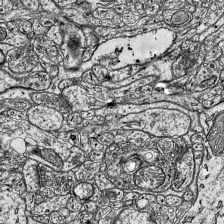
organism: Mouse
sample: Visual Cortex